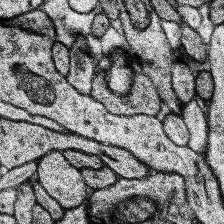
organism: Human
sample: Temporal Lobe